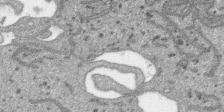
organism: Human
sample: Lung epithelial cells infected with SARS-CoV-2